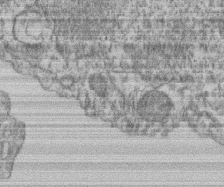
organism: Mouse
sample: T cell stromal cell synapse